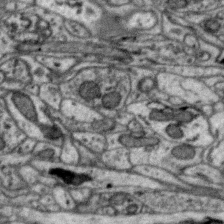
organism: Zebra finch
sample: Brain